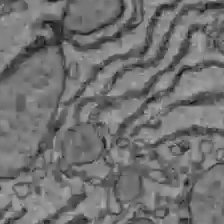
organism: C57BL Mouse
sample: Liver